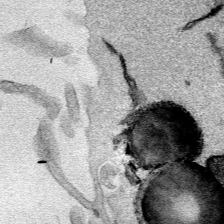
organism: Mouse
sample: Cancer cell death in ED-1 cells